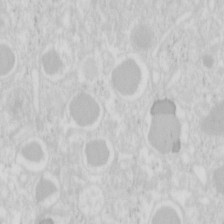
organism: Mouse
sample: Pancreas